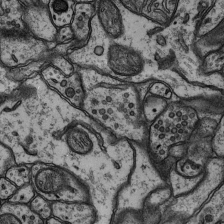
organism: Rat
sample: Hippocampus